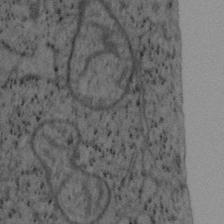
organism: Human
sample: HeLa cells